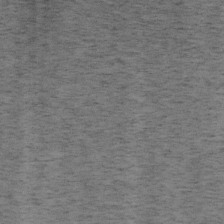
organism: Mouse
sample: OT-I killer T cells with ID8 ovarian cancer cells